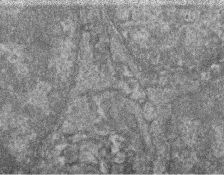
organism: Zebrafish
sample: Cilia; retinal pigment epithelium